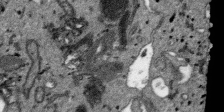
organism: Human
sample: Lung epithelial cells, uninfected (mock) control